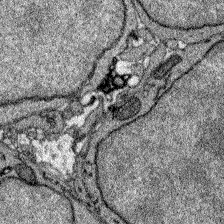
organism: Zebrafish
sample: Larval olfactory bulb